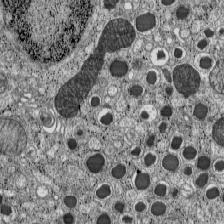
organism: C57BL Mouse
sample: Pancreatic islet